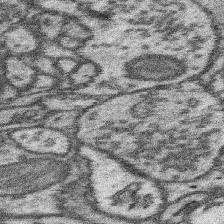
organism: Mouse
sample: Somatosensory cortex neuropil